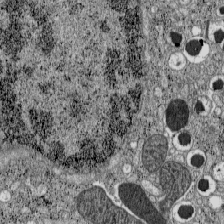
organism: C57BL Mouse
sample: Pancreatic islet